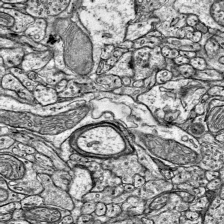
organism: Mouse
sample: Visual Cortex